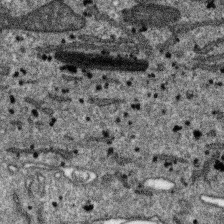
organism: Human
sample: Lung epithelial cells infected with SARS-CoV-2